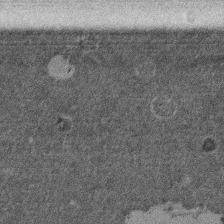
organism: Mouse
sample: Dividing mouse embryo 1 cell stage